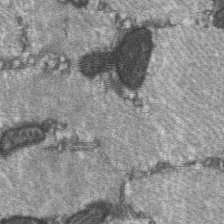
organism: C57BL Mouse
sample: Soleus